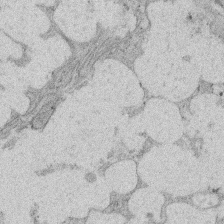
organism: Rat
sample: Salivary granule